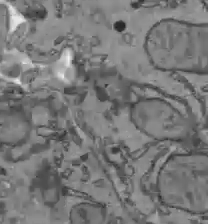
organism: C57BL Mouse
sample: Liver